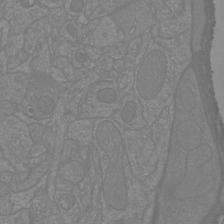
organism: Mouse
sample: Cortical neurons